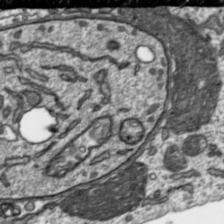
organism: Toxoplasma gondii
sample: Parasites in a vacuole inside a host cell